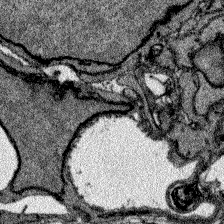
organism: Zebrafish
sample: Larval olfactory bulb